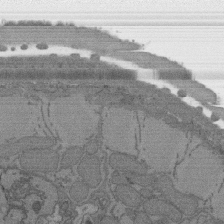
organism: C. elegans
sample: AFD neurons C. elegans